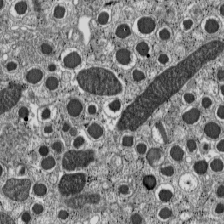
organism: C57BL Mouse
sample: Pancreatic islet